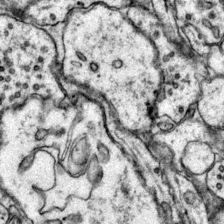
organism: Mouse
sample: Primary visual cortex